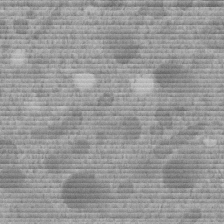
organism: C. elegans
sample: C. elegans embryo early stage